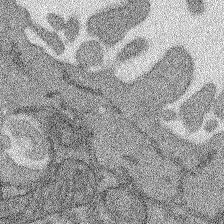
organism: Human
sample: HeLa cells